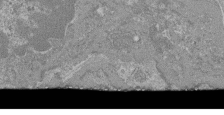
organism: Mouse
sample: Glomerulus